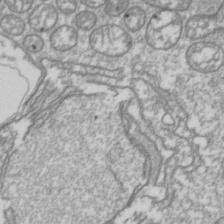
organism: Drosophila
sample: Cell division; meiosis; drosophila spermatocytes